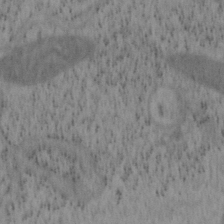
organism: Mouse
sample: OT-I killer T cells with ID8 ovarian cancer cells